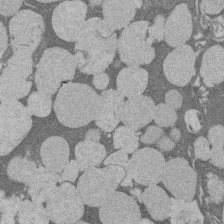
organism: Rat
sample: Salivary granule